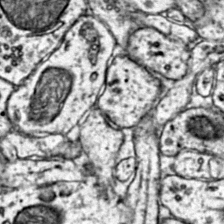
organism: Mouse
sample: Primary visual cortex